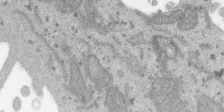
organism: Human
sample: Lung epithelial cells infected with SARS-CoV-2